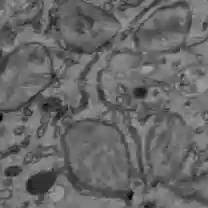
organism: C57BL Mouse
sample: Liver